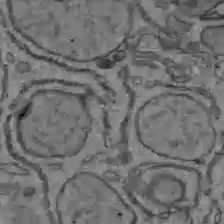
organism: C57BL Mouse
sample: Liver